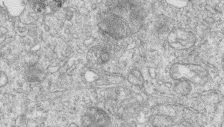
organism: Human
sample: HeLa cell HIV synapse